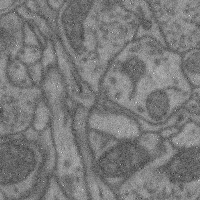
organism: Mouse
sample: Cerebral cortex